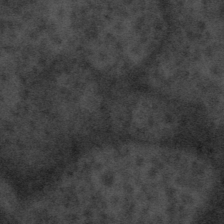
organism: Tuwongella immobilis